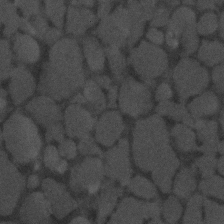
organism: C. elegans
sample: C. elegans embryo